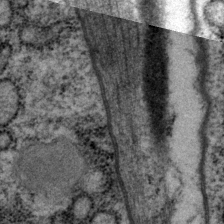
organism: P. pacificus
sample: Pharynx